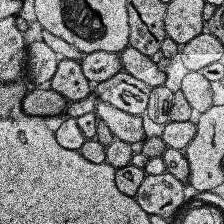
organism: Human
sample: Temporal Lobe